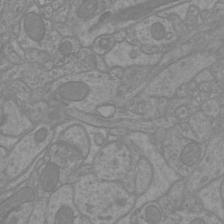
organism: Mouse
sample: Cortical neurons